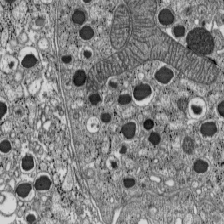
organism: C57BL Mouse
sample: Pancreatic islet